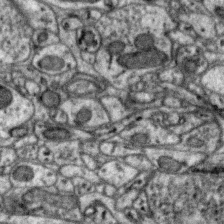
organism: Zebra finch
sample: Brain